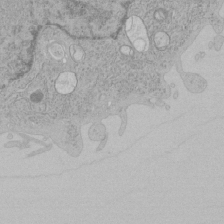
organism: Human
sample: Mitochondria in HCT116 cells